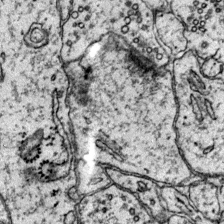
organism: Mouse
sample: Primary visual cortex